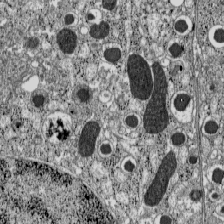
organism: C57BL Mouse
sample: Pancreatic islet